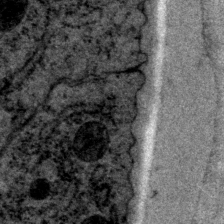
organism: P. pacificus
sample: Pharynx